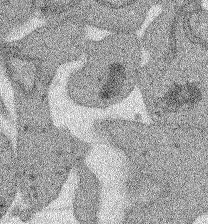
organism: Human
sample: HeLa cells